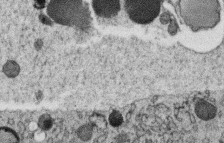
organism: C. elegans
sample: C. elegans oocyte; sperm cells